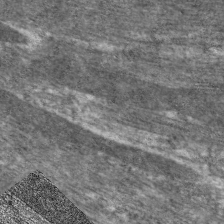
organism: C. elegans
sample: Pharynx